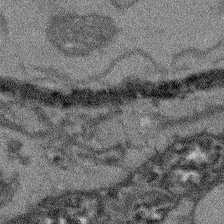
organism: Arabidopsis thaliana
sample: Root tip